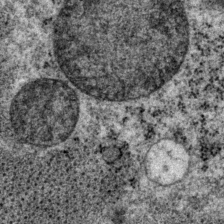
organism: P. pacificus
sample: Pharynx